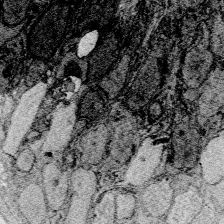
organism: Zebrafish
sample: Whole-Brain